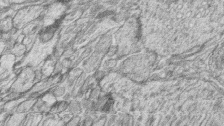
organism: Zebrafish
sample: synaptic ribbons in rod cells and cone cells